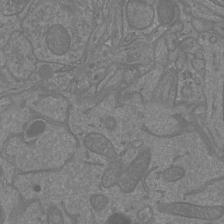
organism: Mouse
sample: Cortical neurons